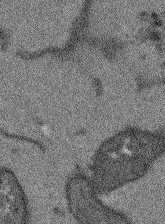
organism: Arabidopsis thaliana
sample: Root tip